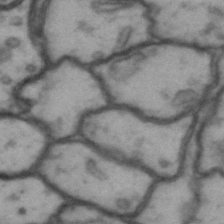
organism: Drosophila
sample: Brain